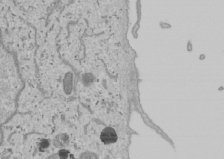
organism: Human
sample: Mitochondria in U2OS cells